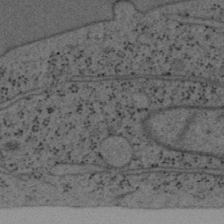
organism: Human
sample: HeLa cells